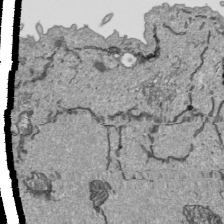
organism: Human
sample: Mitochondria in HCT116 cells